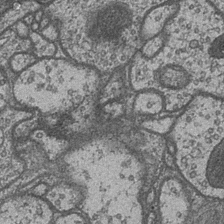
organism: Drosophila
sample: Optic medulla